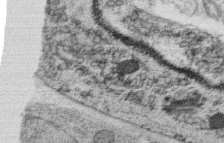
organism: C. elegans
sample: C. elegans oocyte; sperm cells